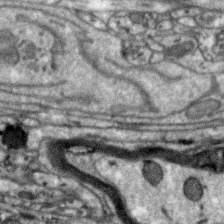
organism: Zebra finch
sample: Brain